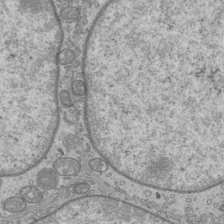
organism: Mouse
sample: Cilia; mouse epididymis